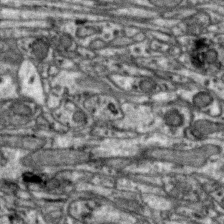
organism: Zebra finch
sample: Brain